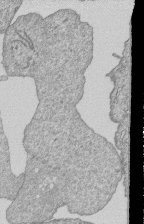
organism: Human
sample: MDA-MB-231 cells